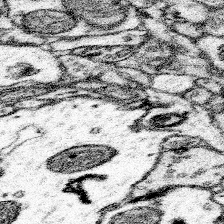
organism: Mouse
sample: Somatosensory cortex neuropil